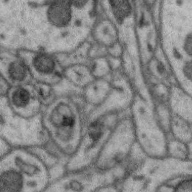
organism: Zebra finch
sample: Brain